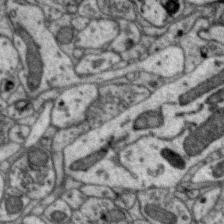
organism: Zebra finch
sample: Brain